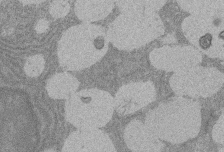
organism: Rat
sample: Salivary granule